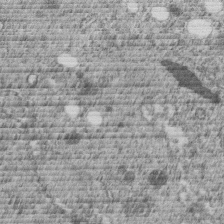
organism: C. elegans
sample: C. elegans embryo early stage